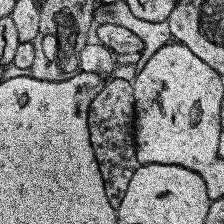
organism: Human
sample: Temporal Lobe